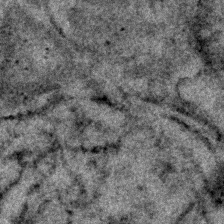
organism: Human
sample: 1205lu cells